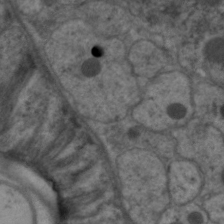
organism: C. elegans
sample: Pharynx